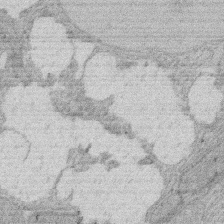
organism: Rat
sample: Salivary granule